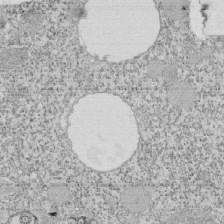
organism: Tetrahymena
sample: Cilia in tetrahymena